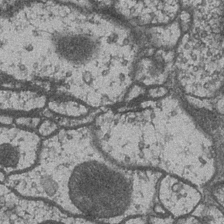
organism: Drosophila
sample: Optic medulla